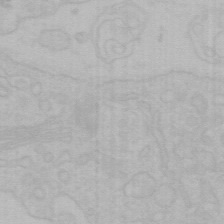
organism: Mouse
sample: Choroid plexus